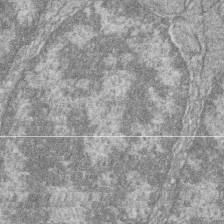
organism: Zebrafish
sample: Cilia; retinal pigment epithelium